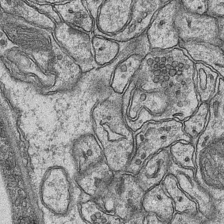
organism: Mouse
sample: CA1 Hippocampus